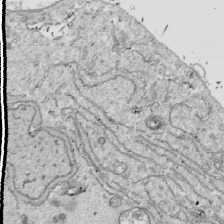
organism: Drosophila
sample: Cell division; meiosis; drosophila spermatocytes